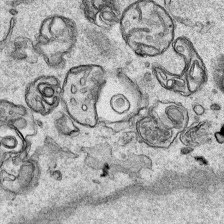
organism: Human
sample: Mitochondria in HCT116 cells